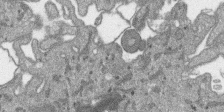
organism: Human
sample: Lung epithelial cells infected with SARS-CoV-2